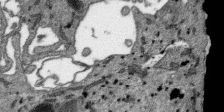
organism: Human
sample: Lung epithelial cells, uninfected (mock) control